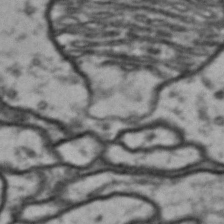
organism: Drosophila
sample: Brain